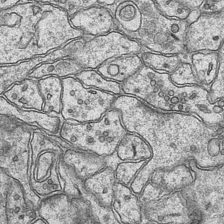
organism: Mouse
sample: CA1 Hippocampus